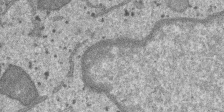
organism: Human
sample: Lung epithelial cells infected with SARS-CoV-2